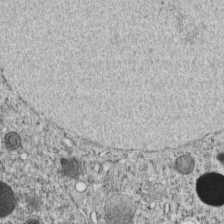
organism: C. elegans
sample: C. elegans embryo early stage